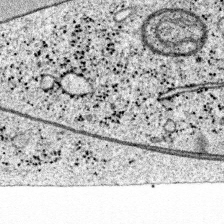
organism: Human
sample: HeLa cells